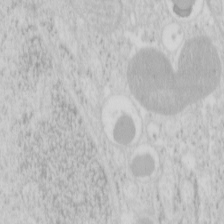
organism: Mouse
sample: Pancreas